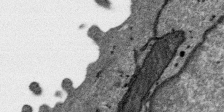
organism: Human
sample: Lung epithelial cells, uninfected (mock) control